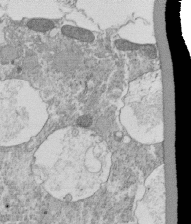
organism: Tetrahymena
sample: Cilia in tetrahymena